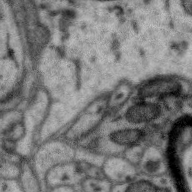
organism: Zebra finch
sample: Brain